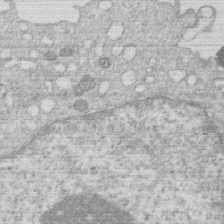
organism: Human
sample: Macrophage cells